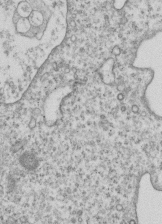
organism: Human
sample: MDA-MB-231 cells